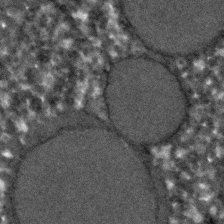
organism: C. elegans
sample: C. elegans embryo